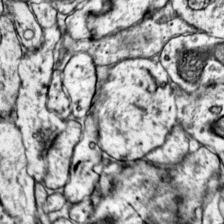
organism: Mouse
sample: Primary visual cortex